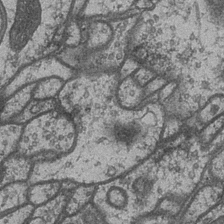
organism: Drosophila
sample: Optic medulla